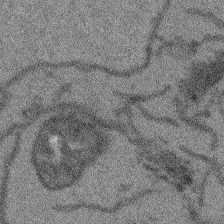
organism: Arabidopsis thaliana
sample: Root tip